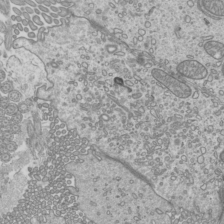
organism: Mouse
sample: Cilia; mouse epididymis